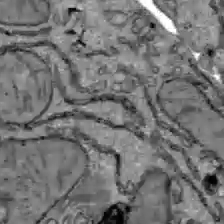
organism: C57BL Mouse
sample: Liver